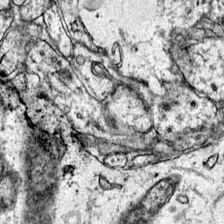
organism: Mouse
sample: Primary visual cortex